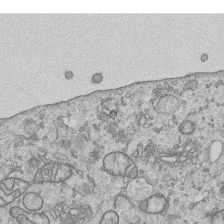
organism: Human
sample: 1205lu cells